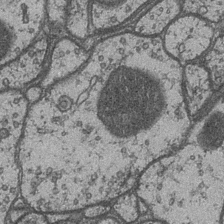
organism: Drosophila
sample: Optic medulla